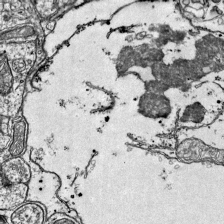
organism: Mouse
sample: Visual Cortex